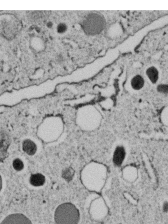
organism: C. elegans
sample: C. elegans embryo early stage